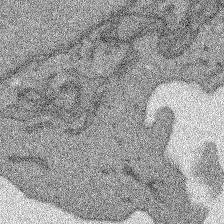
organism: Human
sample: HeLa cells